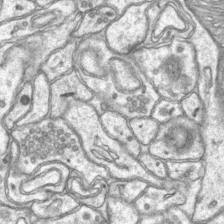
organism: Mouse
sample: CA1 Hippocampus